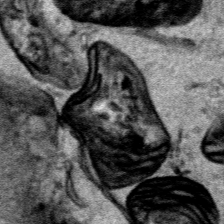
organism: Human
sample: Mitochondria in HCT116 cells